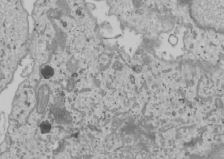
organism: Human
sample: Mitochondria in U2OS cells